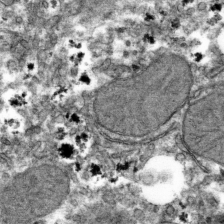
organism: Mouse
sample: Mouse hepatocytes